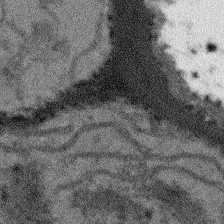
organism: Arabidopsis thaliana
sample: Root tip